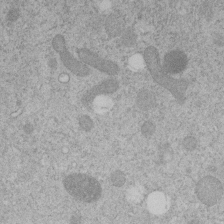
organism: C. elegans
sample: C. elegans embryo early stage